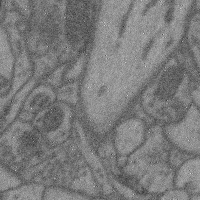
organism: Mouse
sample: Cerebral cortex